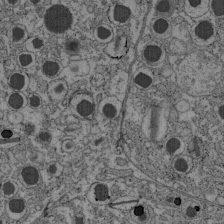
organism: C57BL Mouse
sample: Pancreatic islet